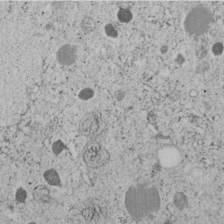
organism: C. elegans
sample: C. elegans embryo early stage